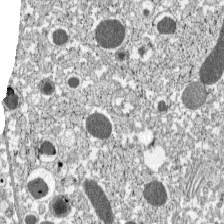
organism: C57BL Mouse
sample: Pancreatic islet